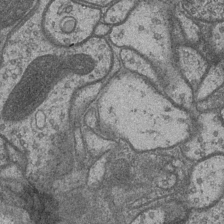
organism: Drosophila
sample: Optic medulla